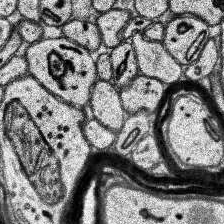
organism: Human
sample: Temporal Lobe